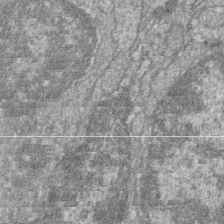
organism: Zebrafish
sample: Cilia; retinal pigment epithelium